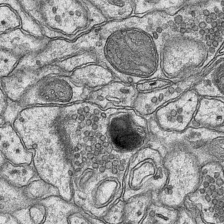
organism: Mouse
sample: CA1 Hippocampus